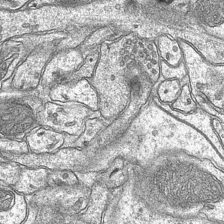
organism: Mouse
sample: CA1 Hippocampus